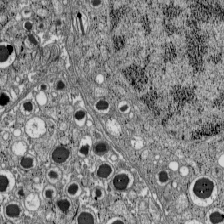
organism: C57BL Mouse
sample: Pancreatic islet